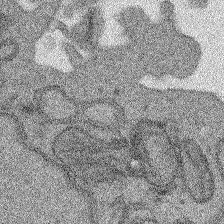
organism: Human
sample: HeLa cells